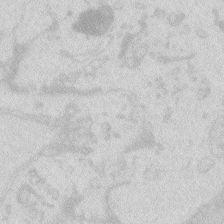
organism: Zebrafish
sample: Macrophage